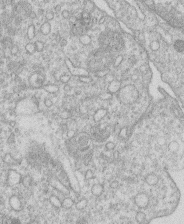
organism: Human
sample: Macrophage cells